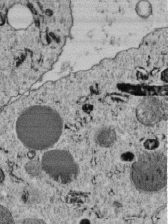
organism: C. elegans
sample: C. elegans embryo early stage